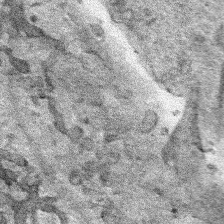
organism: Human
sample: Mitochondria in HCT116 cells